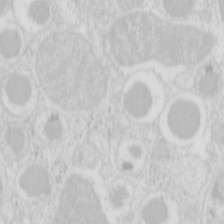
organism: Mouse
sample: Pancreas